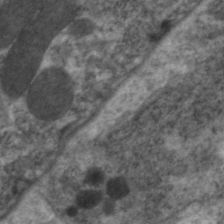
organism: C. elegans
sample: Pharynx